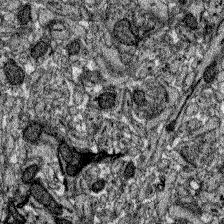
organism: Zebrafish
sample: Larval olfactory bulb